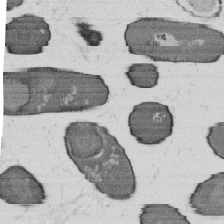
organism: B. subtilis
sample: Bacterial spore